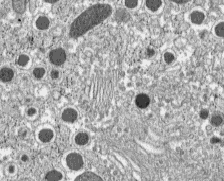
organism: C57BL Mouse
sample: Pancreatic islet